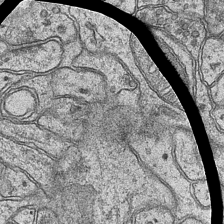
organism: Mouse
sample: CA1 Hippocampus